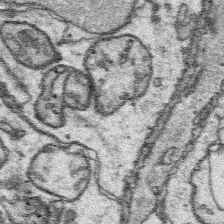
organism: Platynereis dumerilii